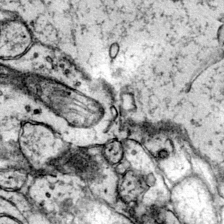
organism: Mouse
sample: Primary visual cortex